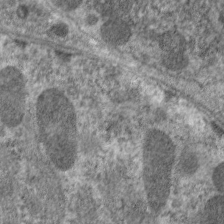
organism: C. elegans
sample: Pharynx